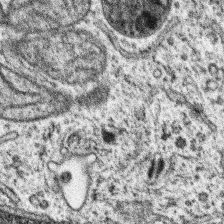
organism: Human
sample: HeLa cells